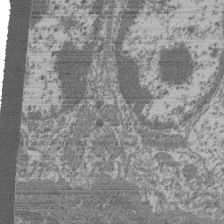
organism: Mouse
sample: Glomerulus